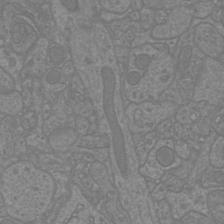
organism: Mouse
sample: Cortical neurons